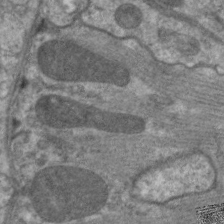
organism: C. elegans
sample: Pharynx